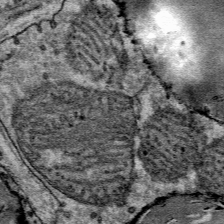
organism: Mouse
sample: Mouse Salivary gland